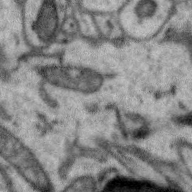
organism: Zebra finch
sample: Brain